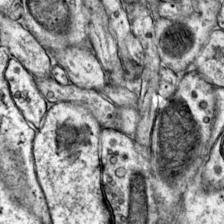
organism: Mouse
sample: Primary visual cortex